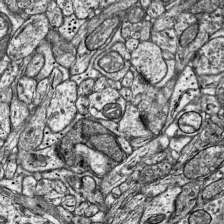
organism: Mouse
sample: Visual Cortex